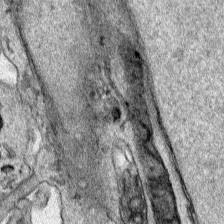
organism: Human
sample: Mitochondria in HCT116 cells